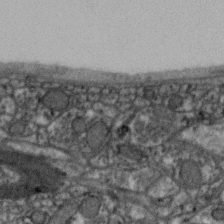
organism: Zebra finch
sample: Brain